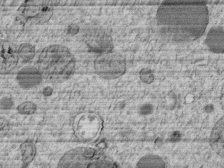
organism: C. elegans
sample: C. elegans embryo early stage